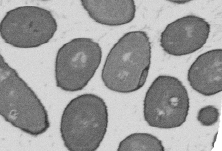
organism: B. subtilis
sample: Bacterial spore